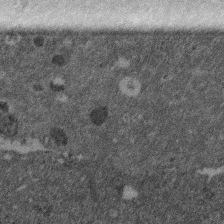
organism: Mouse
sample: Dividing mouse embryo 1 cell stage